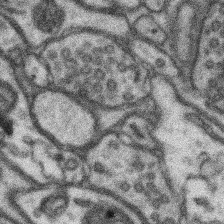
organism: Mouse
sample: Somatosensory cortex neuropil